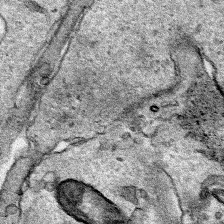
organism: Human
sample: Mitochondria in HCT116 cells